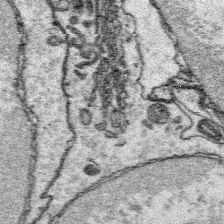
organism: Platynereis dumerilii